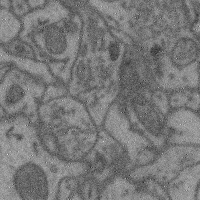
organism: Mouse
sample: Cerebral cortex